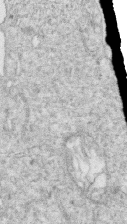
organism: Human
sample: HeLa cell HIV synapse